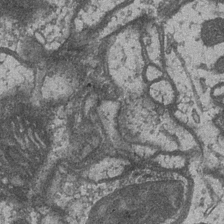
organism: Drosophila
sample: Optic medulla